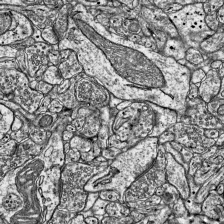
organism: Mouse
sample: Visual Cortex